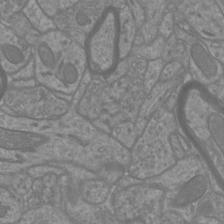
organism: Mouse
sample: Cortical neurons